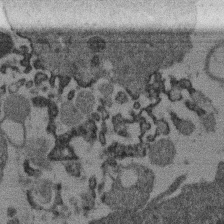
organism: Mouse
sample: Dividing mouse embryo 1 cell stage